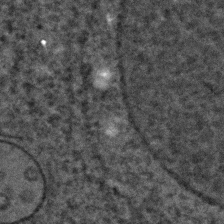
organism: C. elegans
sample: C. elegans embryo